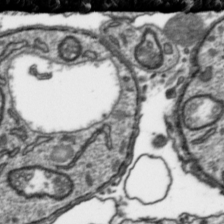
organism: Toxoplasma gondii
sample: Parasites in a vacuole inside a host cell